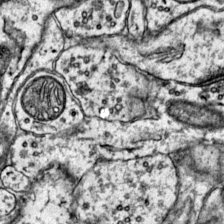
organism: Mouse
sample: Primary visual cortex